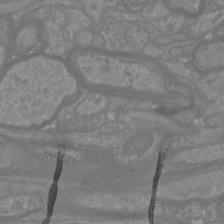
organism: Mouse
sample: Cortical neurons